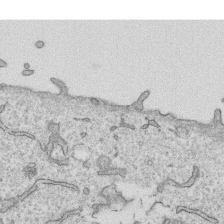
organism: Human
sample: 1205lu cells